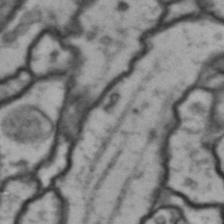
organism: Drosophila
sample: Brain